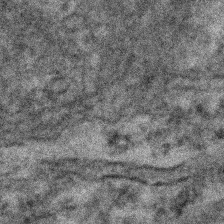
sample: Kidney